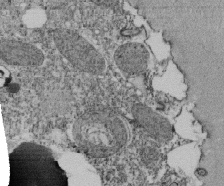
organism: Tetrahymena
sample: Cilia in tetrahymena